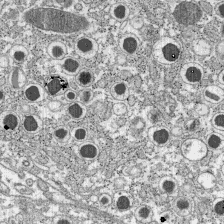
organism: C57BL Mouse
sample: Pancreatic islet